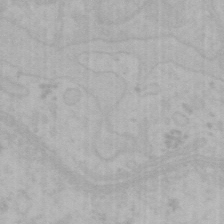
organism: Mouse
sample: Choroid plexus